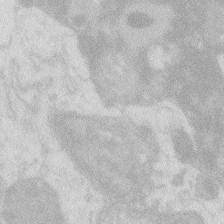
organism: Zebrafish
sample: Macrophage